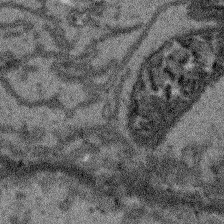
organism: Arabidopsis thaliana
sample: Root tip